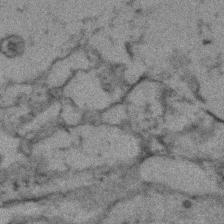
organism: Zebrafish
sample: Zebrafish embryo